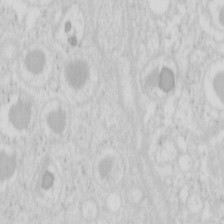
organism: Mouse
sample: Pancreas